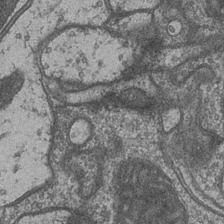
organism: Drosophila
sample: Optic medulla